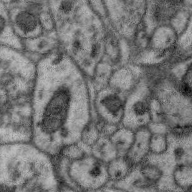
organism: Zebra finch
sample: Brain